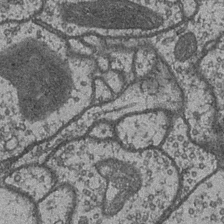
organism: Drosophila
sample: Optic medulla